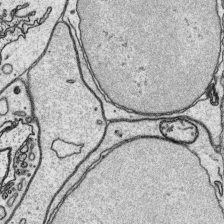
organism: Platynereis dumerilii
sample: Parapodia